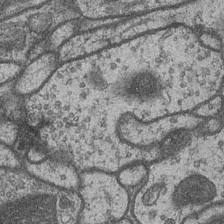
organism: Drosophila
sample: Optic medulla